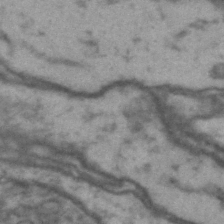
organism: Drosophila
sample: Brain